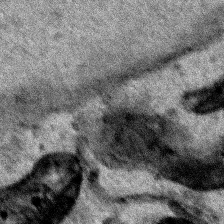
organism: Human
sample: Mitochondria in HCT116 cells